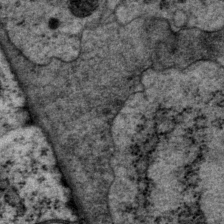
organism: P. pacificus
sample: Pharynx